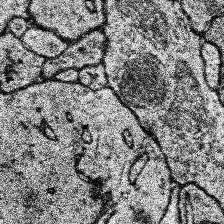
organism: Human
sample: Temporal Lobe